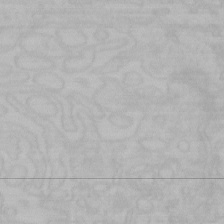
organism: Mouse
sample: Choroid plexus